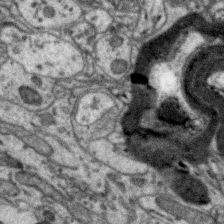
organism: Zebra finch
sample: Brain